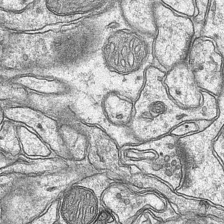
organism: Mouse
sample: CA1 Hippocampus